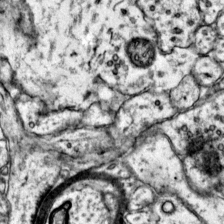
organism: Mouse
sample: Primary visual cortex